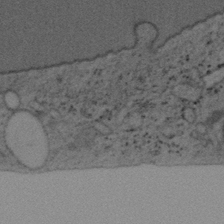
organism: Human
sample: HeLa cells